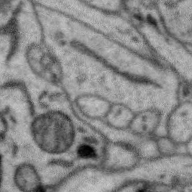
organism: Zebra finch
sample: Brain